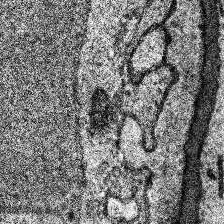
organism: Human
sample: Temporal Lobe